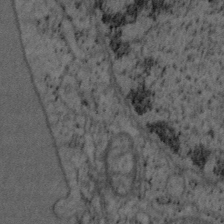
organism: Human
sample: HeLa cells